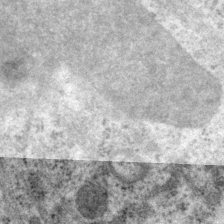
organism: P. pacificus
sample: Pharynx